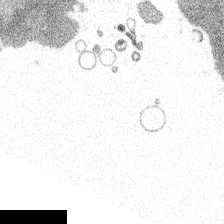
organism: Spongilla lacustris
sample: Multiple